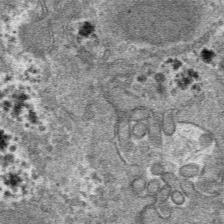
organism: Mouse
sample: Mouse hepatocytes